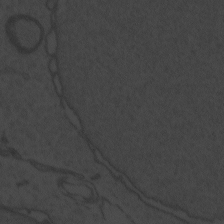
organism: Zebrafish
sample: Macrophage infected with Toxoplasma gondii